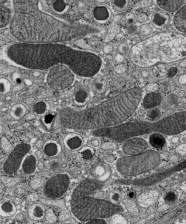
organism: C57BL Mouse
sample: Pancreatic islet